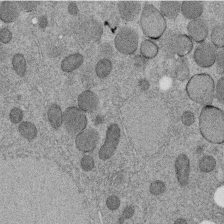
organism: C. elegans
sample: C. elegans embryo early stage